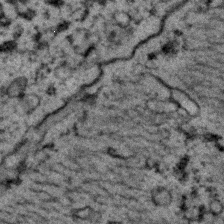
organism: C. elegans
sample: C. elegans embryo